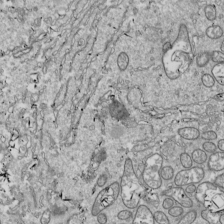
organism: Drosophila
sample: Cell division; meiosis; drosophila spermatocytes